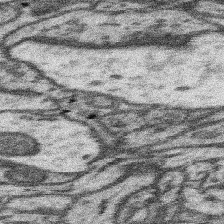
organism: Mouse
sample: Somatosensory cortex neuropil